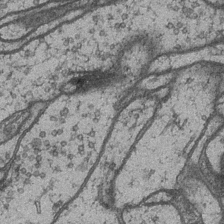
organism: Drosophila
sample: Optic medulla